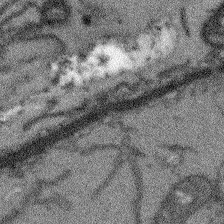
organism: Arabidopsis thaliana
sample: Root tip